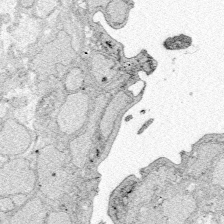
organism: Zebrafish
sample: Whole-Brain